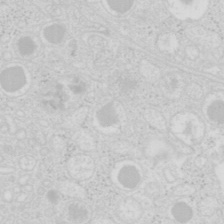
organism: Mouse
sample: Pancreas